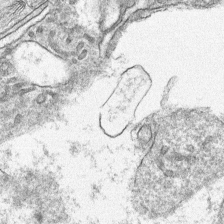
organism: Mouse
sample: Mouse hepatocytes